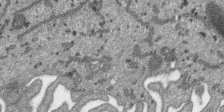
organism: Human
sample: Lung epithelial cells infected with SARS-CoV-2